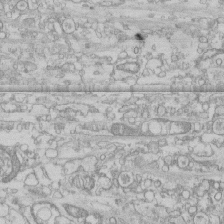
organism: Human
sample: CRL-1474